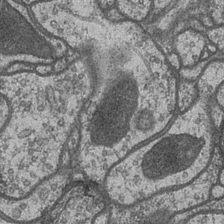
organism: Drosophila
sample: Optic medulla